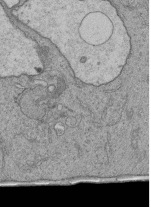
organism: Human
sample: Retinal organoid Rod and Cone cells